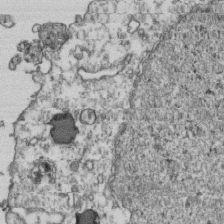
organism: Human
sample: Activated Jurkat CD4+ T cells